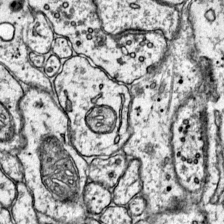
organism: Mouse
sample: Primary visual cortex